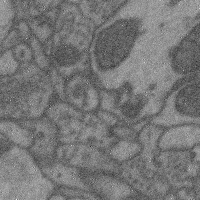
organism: Mouse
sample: Cerebral cortex